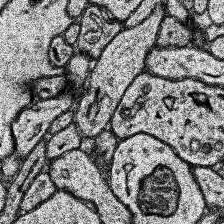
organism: Human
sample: Temporal Lobe